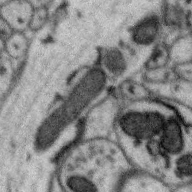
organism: Zebra finch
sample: Brain